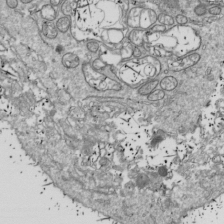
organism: Drosophila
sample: Cell division; meiosis; drosophila spermatocytes